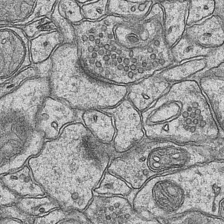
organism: Mouse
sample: CA1 Hippocampus